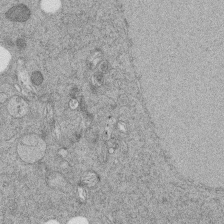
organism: C. elegans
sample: C. elegans embryo early stage